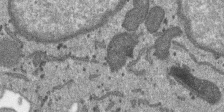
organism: Human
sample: Lung epithelial cells infected with SARS-CoV-2